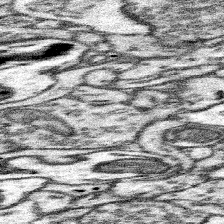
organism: Mouse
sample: Somatosensory cortex neuropil